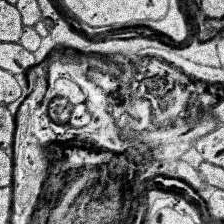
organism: Human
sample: Temporal Lobe